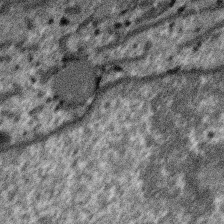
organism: Human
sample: Lung epithelial cells infected with SARS-CoV-2